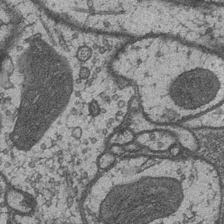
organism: Drosophila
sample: Optic medulla